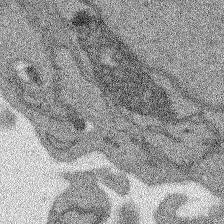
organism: Human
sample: HeLa cells